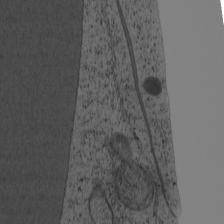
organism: African green monkey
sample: COS-7 cells